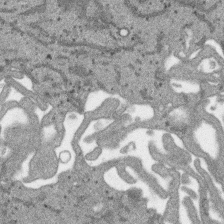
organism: Human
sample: Lung epithelial cells infected with SARS-CoV-2